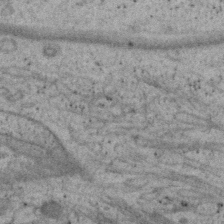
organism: Human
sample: HeLa cells